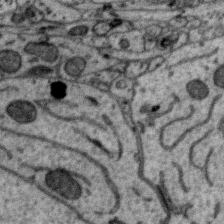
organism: Zebra finch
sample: Brain